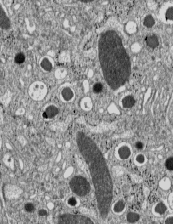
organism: C57BL Mouse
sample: Pancreatic islet